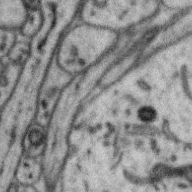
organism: Zebra finch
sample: Brain